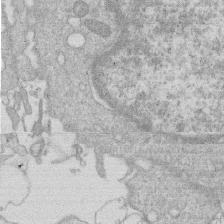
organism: Human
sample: Macrophage cells